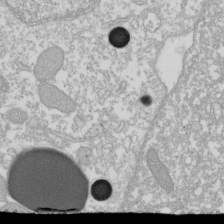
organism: Xenopus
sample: Cilia; centrioles in frog embryo cells